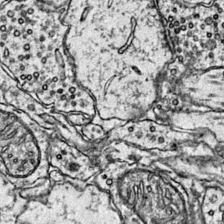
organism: Mouse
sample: Primary visual cortex